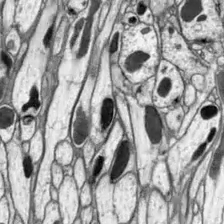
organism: Drosophila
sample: Optic lobe